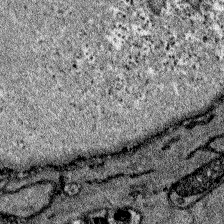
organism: Zebrafish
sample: Larval olfactory bulb